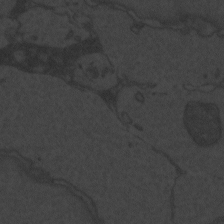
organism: Zebrafish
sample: Macrophage infected with Toxoplasma gondii